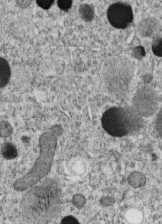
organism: C. elegans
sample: C. elegans embryo early stage